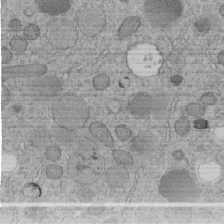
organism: C. elegans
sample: C. elegans embryo early stage